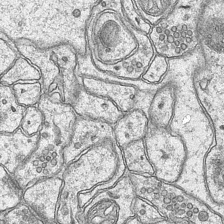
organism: Mouse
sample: CA1 Hippocampus